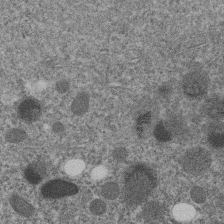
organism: C. elegans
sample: C. elegans embryo early stage